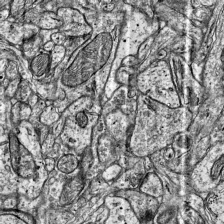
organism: Mouse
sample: Visual Cortex